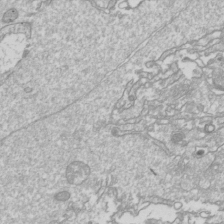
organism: Drosophila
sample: Cell division; meiosis; drosophila spermatocytes